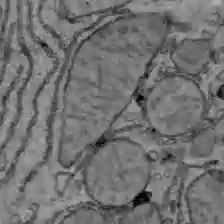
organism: C57BL Mouse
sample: Liver